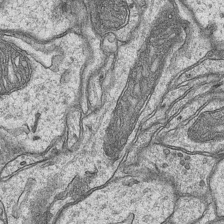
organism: Mouse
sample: CA1 Hippocampus